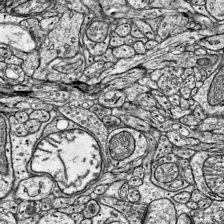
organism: Mouse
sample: Visual Cortex